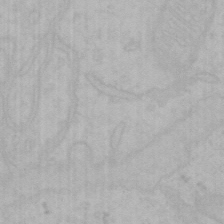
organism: Mouse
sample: Choroid plexus